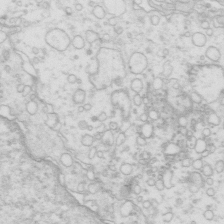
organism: Mouse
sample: Multiciliated cells